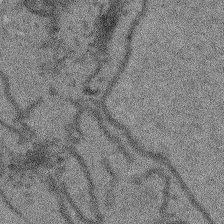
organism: Arabidopsis thaliana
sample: Root tip